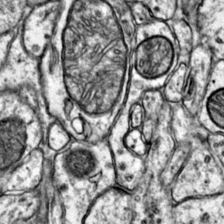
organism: Mouse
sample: Primary visual cortex